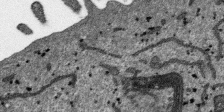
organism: Human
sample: Lung epithelial cells, uninfected (mock) control